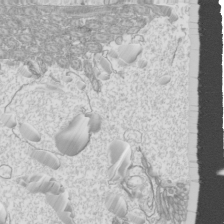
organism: Mouse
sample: Cilia; mouse epididymis